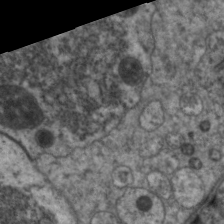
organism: C. elegans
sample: Pharynx